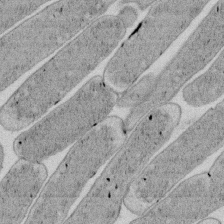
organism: E. coli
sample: Bacterial nucleoid